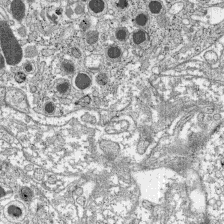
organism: C57BL Mouse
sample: Pancreatic islet